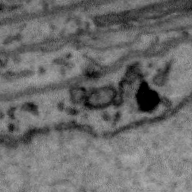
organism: Zebra finch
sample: Brain